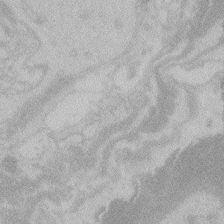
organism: Zebrafish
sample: Macrophage infected with Toxoplasma gondii